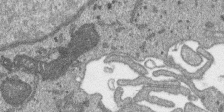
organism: Human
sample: Lung epithelial cells infected with SARS-CoV-2